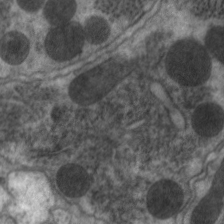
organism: C. elegans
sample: Pharynx